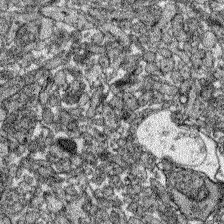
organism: Zebrafish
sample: Larval olfactory bulb